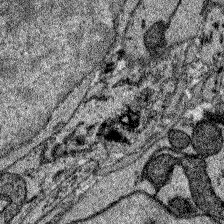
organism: Zebrafish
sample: Larval olfactory bulb